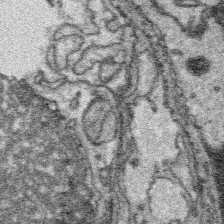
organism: Platynereis dumerilii